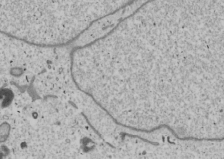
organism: Human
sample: Mitochondria in U2OS cells